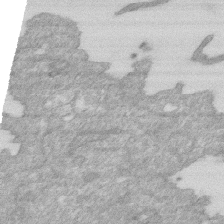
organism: Human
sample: HIV infected U937 cells